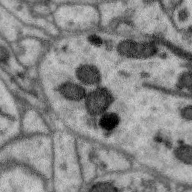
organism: Zebra finch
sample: Brain